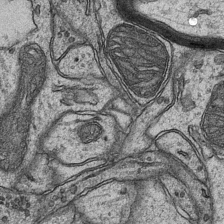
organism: Mouse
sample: CA1 Hippocampus